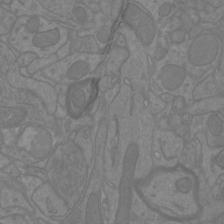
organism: Mouse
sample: Cortical neurons